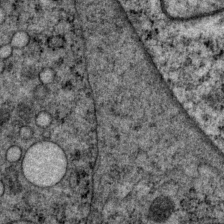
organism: P. pacificus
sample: Pharynx